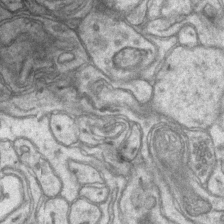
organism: Mouse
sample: CA1 Hippocampus